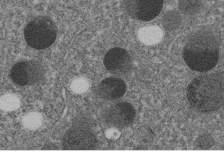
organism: C. elegans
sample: C. elegans embryo early stage